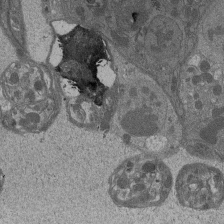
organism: Drosophila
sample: Antenna